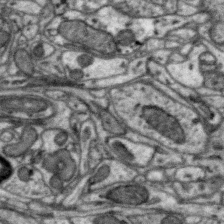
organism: Zebra finch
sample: Brain